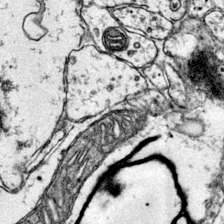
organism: Mouse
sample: Primary visual cortex